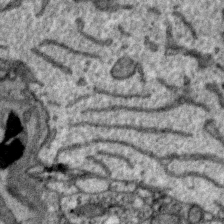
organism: Zebra finch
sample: Brain